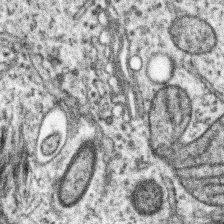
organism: Human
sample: HeLa cells